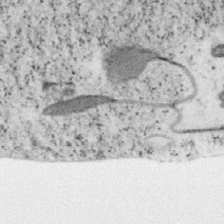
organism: Mouse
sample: OT-I killer T cells with ID8 ovarian cancer cells